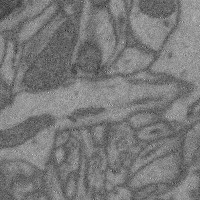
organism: Mouse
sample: Cerebral cortex